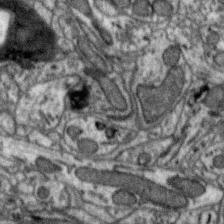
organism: Zebra finch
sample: Brain